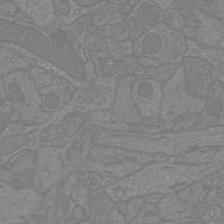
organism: Mouse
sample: Cortical neurons